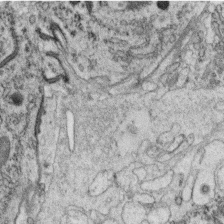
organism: C. elegans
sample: C. elegans oocyte; sperm cells